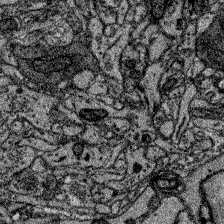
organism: Zebrafish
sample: Larval olfactory bulb